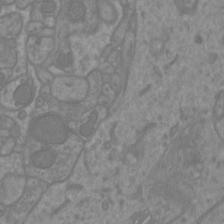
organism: Mouse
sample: Cortical neurons